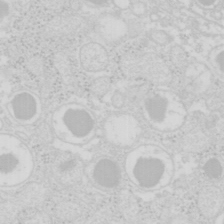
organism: Mouse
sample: Pancreas